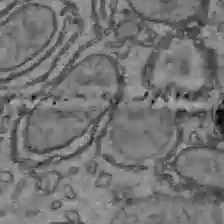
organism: C57BL Mouse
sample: Liver